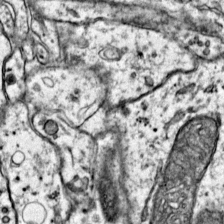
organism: Mouse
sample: Primary visual cortex